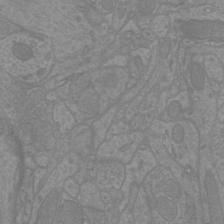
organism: Mouse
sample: Cortical neurons